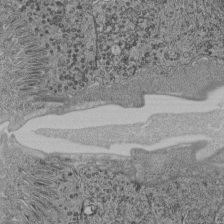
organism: C. elegans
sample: C. elegans pharynx